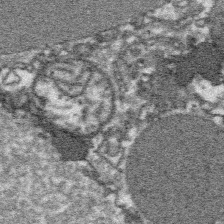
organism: Platynereis dumerilii